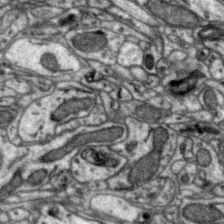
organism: Zebra finch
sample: Brain